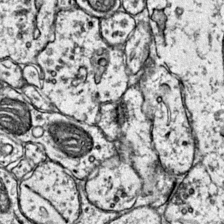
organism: Mouse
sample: Primary visual cortex